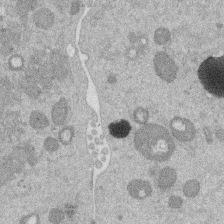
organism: Mouse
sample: Dividing mouse embryo 1 cell stage